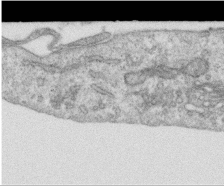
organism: Human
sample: Centriole in RPE cells